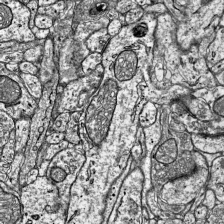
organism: Mouse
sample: Visual Cortex